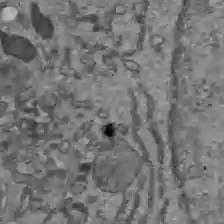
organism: C57BL Mouse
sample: Liver